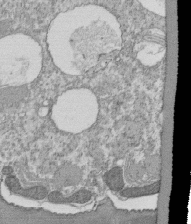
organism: Tetrahymena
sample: Cilia in tetrahymena